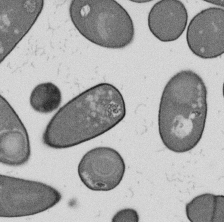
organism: B. subtilis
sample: Bacterial spore